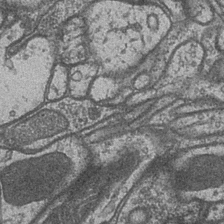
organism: Drosophila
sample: Optic medulla